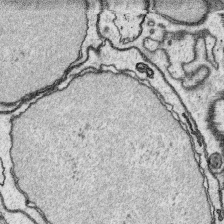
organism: Platynereis dumerilii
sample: Parapodia